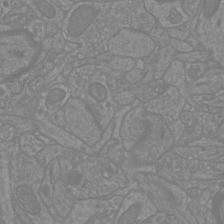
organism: Mouse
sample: Cortical neurons